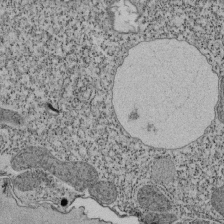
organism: Tetrahymena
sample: Cilia in tetrahymena